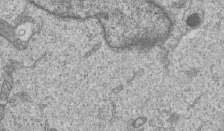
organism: Human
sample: MDA-MB-231 cells